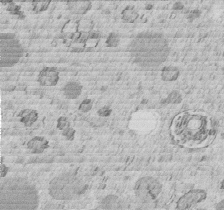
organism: C. elegans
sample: C. elegans embryo early stage